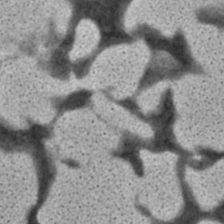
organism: C. elegans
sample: C. elegans embryo